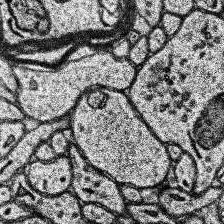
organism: Human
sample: Temporal Lobe